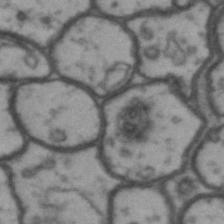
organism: Drosophila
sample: Brain